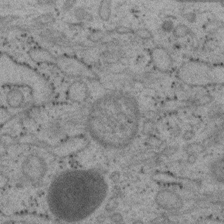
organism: Human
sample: HeLa cells